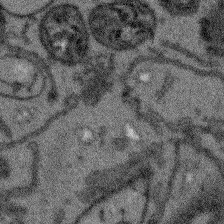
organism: Arabidopsis thaliana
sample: Root tip